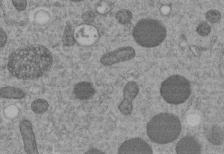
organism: C. elegans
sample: C. elegans embryo early stage